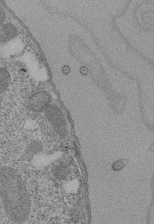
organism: Tetrahymena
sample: Cilia in tetrahymena